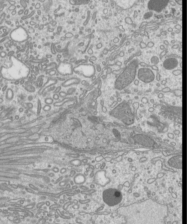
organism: Mouse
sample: Cilia; mouse epididymis